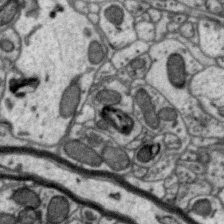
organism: Zebra finch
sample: Brain